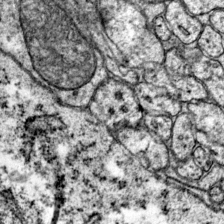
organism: Mouse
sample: Primary visual cortex